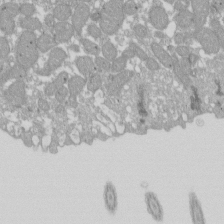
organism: Xenopus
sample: Cilia; centrioles in frog embryo cells